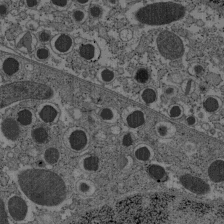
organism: C57BL Mouse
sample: Pancreatic islet